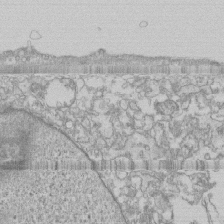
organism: Human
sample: CRL-1474